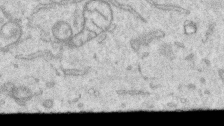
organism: Human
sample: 1205lu cells